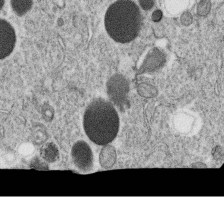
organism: C. elegans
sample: C. elegans oocyte; sperm cells